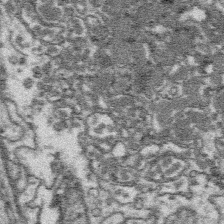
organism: Platynereis dumerilii